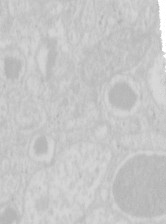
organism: Mouse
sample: Pancreas